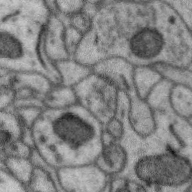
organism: Zebra finch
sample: Brain